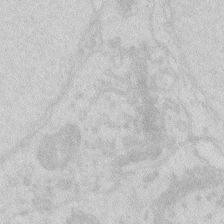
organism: Zebrafish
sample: Macrophage